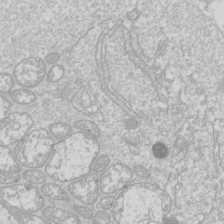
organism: Drosophila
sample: Cell division; meiosis; drosophila spermatocytes